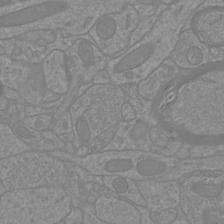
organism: Mouse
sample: Cortical neurons